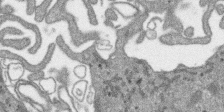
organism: Human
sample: Lung epithelial cells infected with SARS-CoV-2